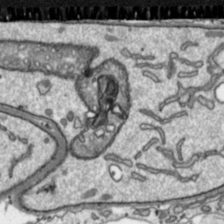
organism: Toxoplasma gondii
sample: Parasites in a vacuole inside a host cell